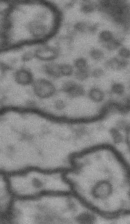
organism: Drosophila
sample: Brain